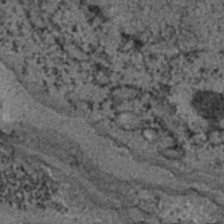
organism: C. elegans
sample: C. elegans embryo